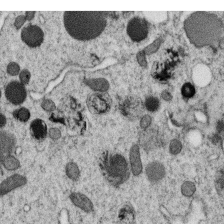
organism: C. elegans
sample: C. elegans oocyte; sperm cells